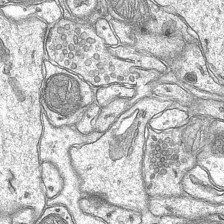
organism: Mouse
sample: CA1 Hippocampus